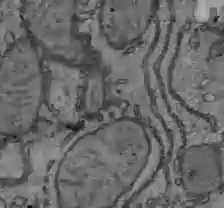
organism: C57BL Mouse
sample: Liver